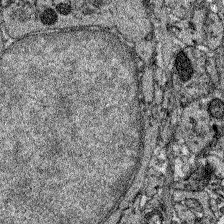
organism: Zebrafish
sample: Larval olfactory bulb